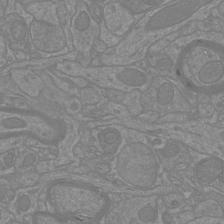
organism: Mouse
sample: Cortical neurons